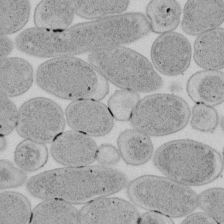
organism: E. coli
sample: Bacterial nucleoid